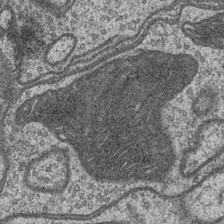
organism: Drosophila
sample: Optic medulla